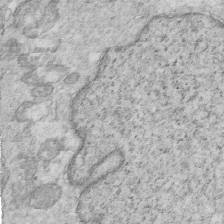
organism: Mouse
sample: Multiciliated cells